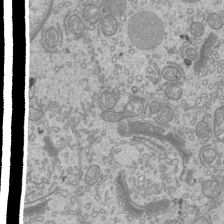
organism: Mouse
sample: Cilia; mouse epididymis